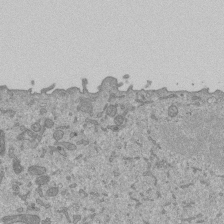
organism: Mouse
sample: ED-1 cell nuclei; centrioles